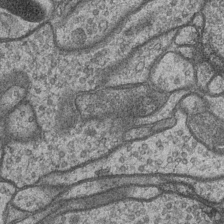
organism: Drosophila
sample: Optic medulla